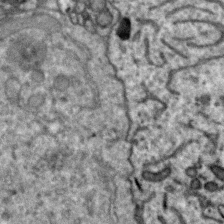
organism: Zebra finch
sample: Brain